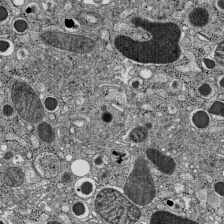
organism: C57BL Mouse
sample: Pancreatic islet